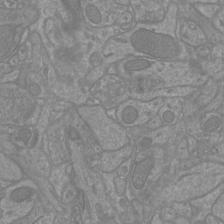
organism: Mouse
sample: Cortical neurons